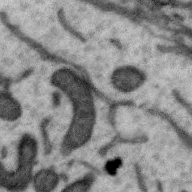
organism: Zebra finch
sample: Brain